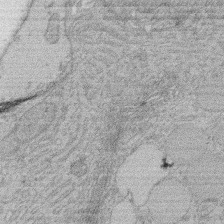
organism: Rat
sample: Salivary granule